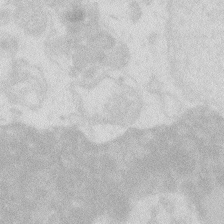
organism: Zebrafish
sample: Macrophage